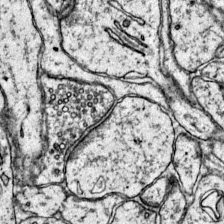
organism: Mouse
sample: Primary visual cortex